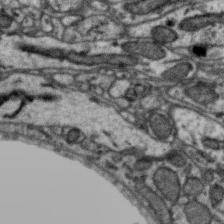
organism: Zebra finch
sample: Brain